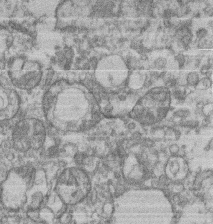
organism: Mouse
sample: T cell stromal cell synapse